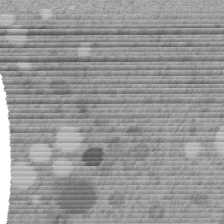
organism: C. elegans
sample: C. elegans embryo early stage